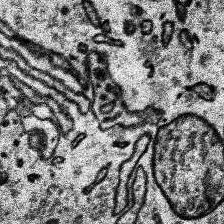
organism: Human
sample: Temporal Lobe